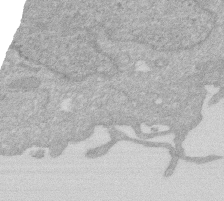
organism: Human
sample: HIV infected U937 cells